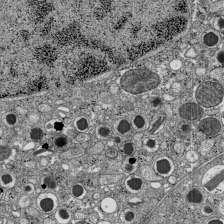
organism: C57BL Mouse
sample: Pancreatic islet